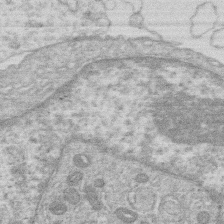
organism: Human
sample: Macrophage cells